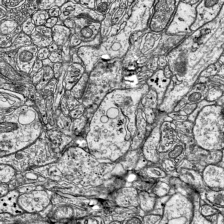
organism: Mouse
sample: Visual Cortex